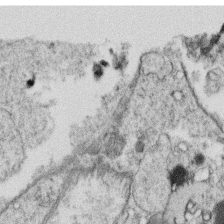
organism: C. elegans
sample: C. elegans oocyte; sperm cells